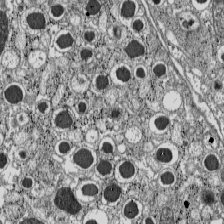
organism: C57BL Mouse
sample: Pancreatic islet